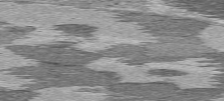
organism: C57BL Mouse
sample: Heart